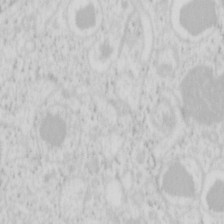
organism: Mouse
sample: Pancreas